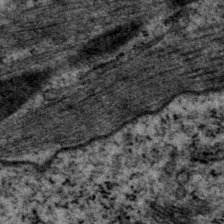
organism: P. pacificus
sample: Pharynx